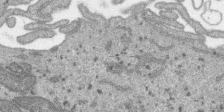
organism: Human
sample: Lung epithelial cells infected with SARS-CoV-2